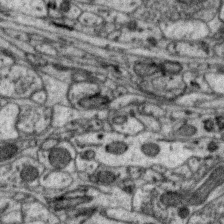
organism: Zebra finch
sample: Brain